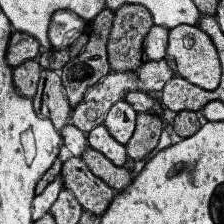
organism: Human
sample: Temporal Lobe